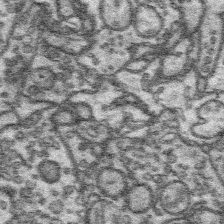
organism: Platynereis dumerilii